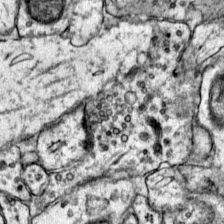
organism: Mouse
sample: Primary visual cortex